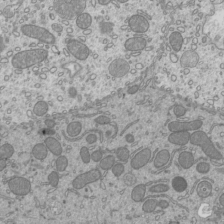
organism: Mouse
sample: Cilia; mouse epididymis